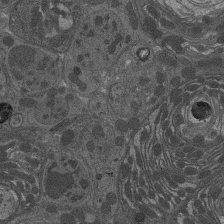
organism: Drosophila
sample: Antenna